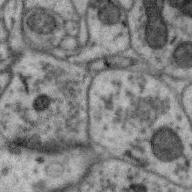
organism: Zebra finch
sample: Brain